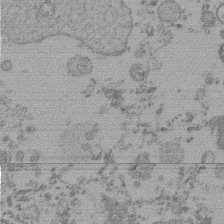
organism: Mouse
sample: Dividing mouse embryo 1 cell stage